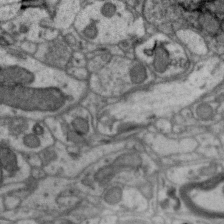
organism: Zebra finch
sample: Brain